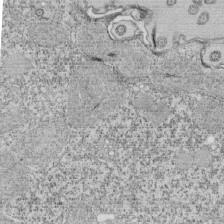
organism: Tetrahymena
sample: Cilia in tetrahymena